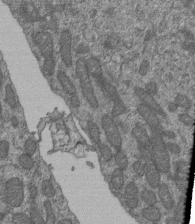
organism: Human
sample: Retinal organoid Rod and Cone cells